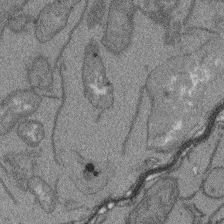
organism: Arabidopsis thaliana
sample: Root tip